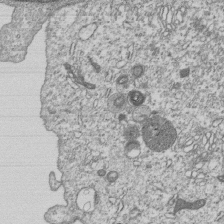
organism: Human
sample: MDA-MB-231 cells